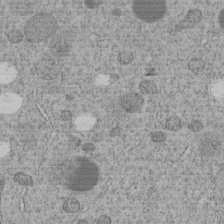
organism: C. elegans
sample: C. elegans embryo early stage